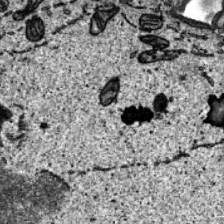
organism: Human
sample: HeLa cells